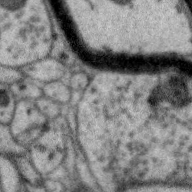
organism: Zebra finch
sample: Brain